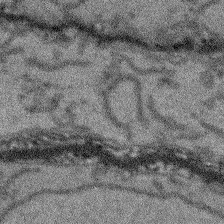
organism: Arabidopsis thaliana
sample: Root tip